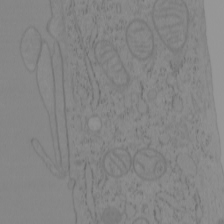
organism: Human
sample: HeLa cells